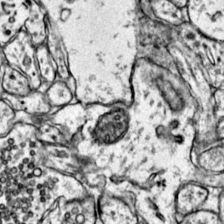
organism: Mouse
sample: Primary visual cortex